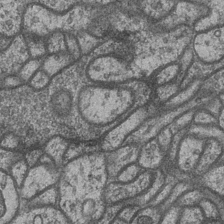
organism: Drosophila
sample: Optic medulla